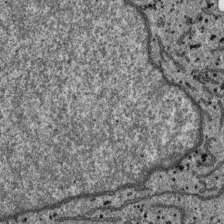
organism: Human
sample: Lung epithelial cells infected with SARS-CoV-2